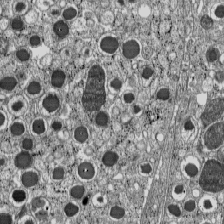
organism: C57BL Mouse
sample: Pancreatic islet